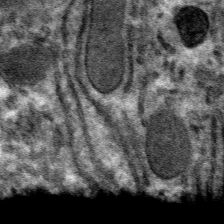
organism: Mouse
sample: Mouse hepatocytes